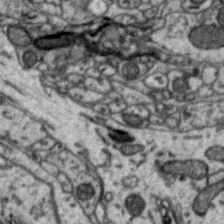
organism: Zebra finch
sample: Brain